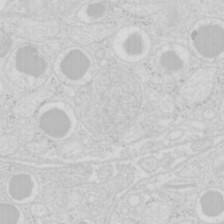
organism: Mouse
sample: Pancreas